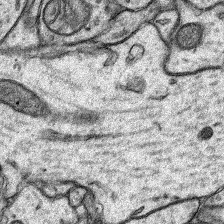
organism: Rat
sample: Hippocampus